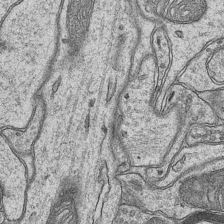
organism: Mouse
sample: CA1 Hippocampus